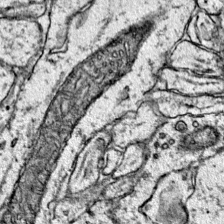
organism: Mouse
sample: Primary visual cortex